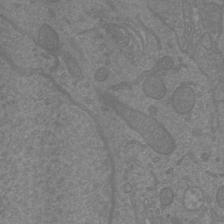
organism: Mouse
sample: Cortical neurons